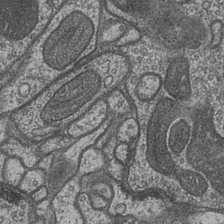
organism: Drosophila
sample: Optic medulla